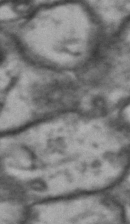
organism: Drosophila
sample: Brain